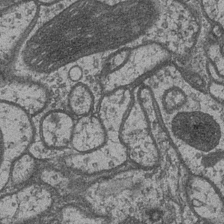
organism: Drosophila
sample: Optic medulla